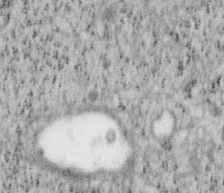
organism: Mouse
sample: OT-I killer T cells with ID8 ovarian cancer cells